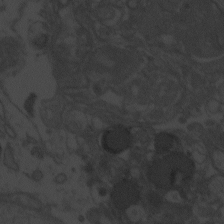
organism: Zebrafish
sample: Macrophage infected with Toxoplasma gondii